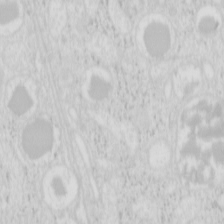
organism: Mouse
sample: Pancreas